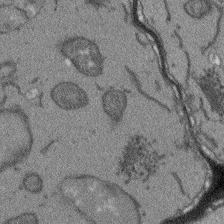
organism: Arabidopsis thaliana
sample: Root tip